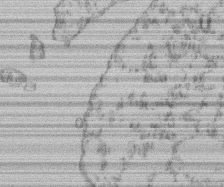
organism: Mouse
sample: T cell stromal cell synapse